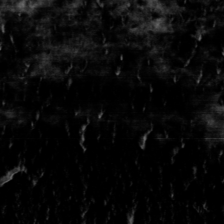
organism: Toxoplasma gondii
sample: Parasites in a vacuole inside a host cell